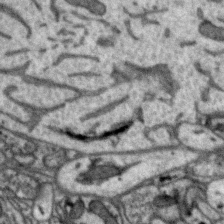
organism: Zebra finch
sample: Brain